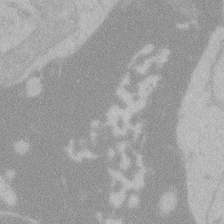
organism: Zebrafish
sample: Macrophage infected with Toxoplasma gondii